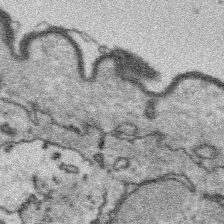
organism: Platynereis dumerilii